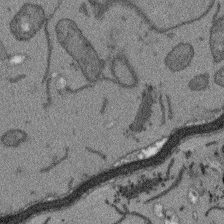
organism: Arabidopsis thaliana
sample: Root tip